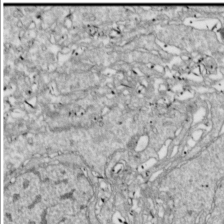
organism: Drosophila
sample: Cell division; meiosis; drosophila spermatocytes